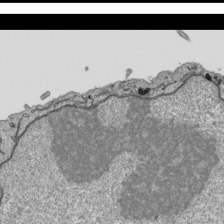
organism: Human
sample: Mitochondria in HCT116 cells